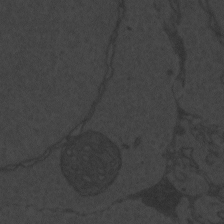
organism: Zebrafish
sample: Macrophage infected with Toxoplasma gondii